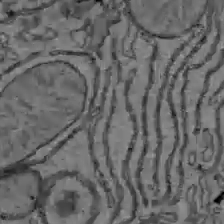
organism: C57BL Mouse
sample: Liver